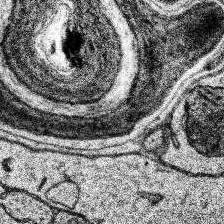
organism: Human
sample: Temporal Lobe